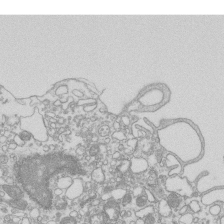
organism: Mouse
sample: Macrophages